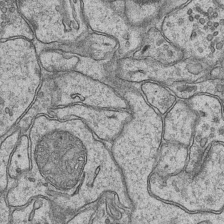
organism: Mouse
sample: CA1 Hippocampus